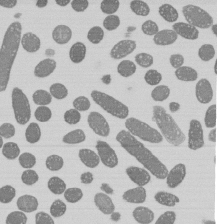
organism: E. coli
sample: Bacterial nucleoid